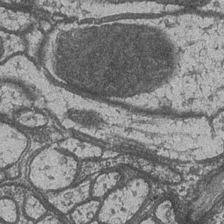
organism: Drosophila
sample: Optic medulla